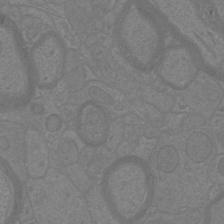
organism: Mouse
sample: Cortical neurons